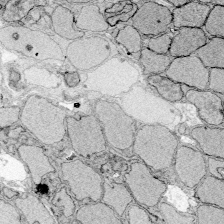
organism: Zebrafish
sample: Whole-Brain